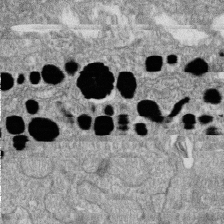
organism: Zebrafish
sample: Cilia; retinal pigment epithelium